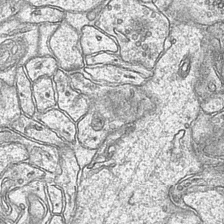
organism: Mouse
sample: CA1 Hippocampus